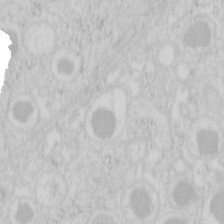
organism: Mouse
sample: Pancreas